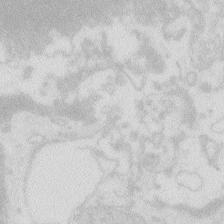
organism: Zebrafish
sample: Macrophage